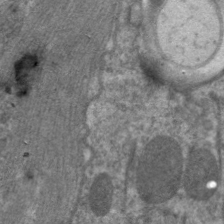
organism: C. elegans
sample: Pharynx